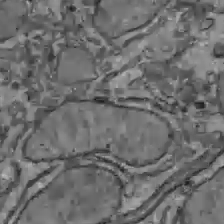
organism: C57BL Mouse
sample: Liver